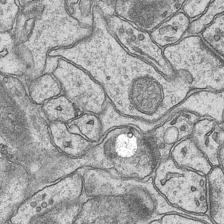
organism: Mouse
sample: CA1 Hippocampus